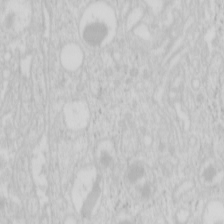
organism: Mouse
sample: Pancreas